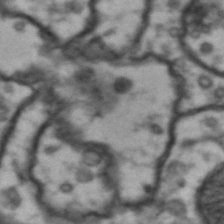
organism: Drosophila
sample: Brain